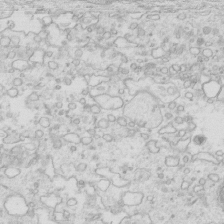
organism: Mouse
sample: Multiciliated cells